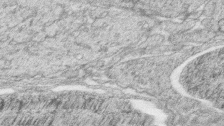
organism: Zebrafish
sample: synaptic ribbons in rod cells and cone cells